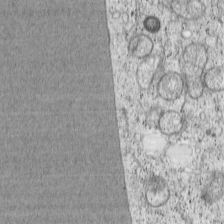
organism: African green monkey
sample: COS-7 cells